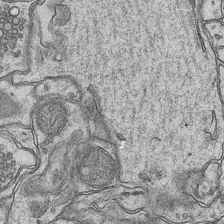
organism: Mouse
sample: CA1 Hippocampus